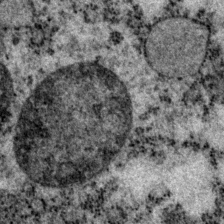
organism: P. pacificus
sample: Pharynx